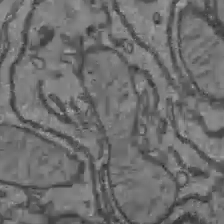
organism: C57BL Mouse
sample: Liver